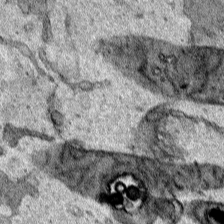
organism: Human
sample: Mitochondria in HCT116 cells